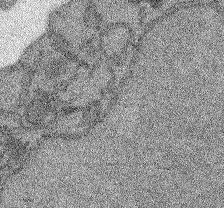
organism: Human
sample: HeLa cells